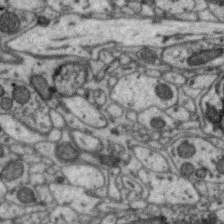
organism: Zebra finch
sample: Brain